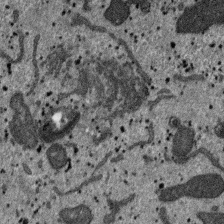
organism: Human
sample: Lung epithelial cells, uninfected (mock) control